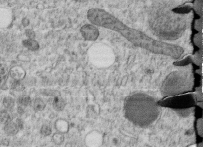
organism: C. elegans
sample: C. elegans embryo early stage